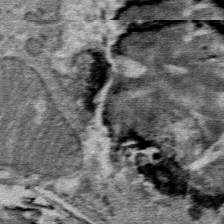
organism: Mouse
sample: Mouse Salivary gland